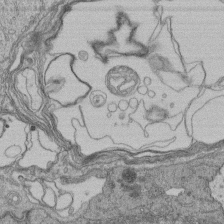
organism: Human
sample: Retinal organoid Rod and Cone cells